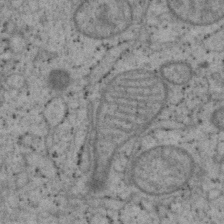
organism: Human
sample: HeLa cells